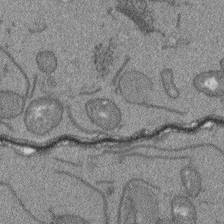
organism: Arabidopsis thaliana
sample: Root tip